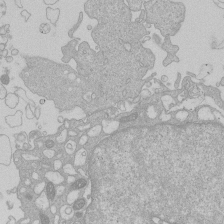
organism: Human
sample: Macrophage cells